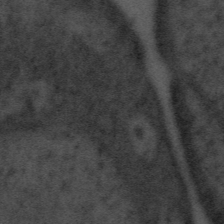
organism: Tuwongella immobilis